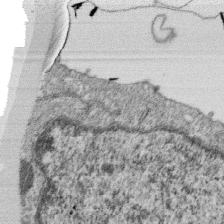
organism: African green monkey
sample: Vero E6 cells infected with SARS-CoV-2